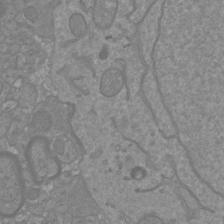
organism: Mouse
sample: Cortical neurons